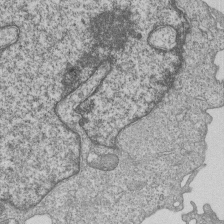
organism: Human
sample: MDA-MB-231 cells